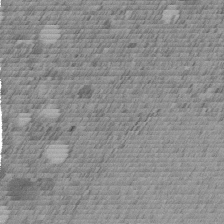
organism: C. elegans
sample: C. elegans embryo early stage